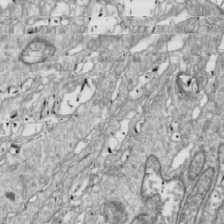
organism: Drosophila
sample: Cell division; meiosis; drosophila spermatocytes